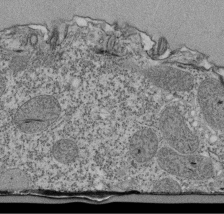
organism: Tetrahymena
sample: Cilia in tetrahymena